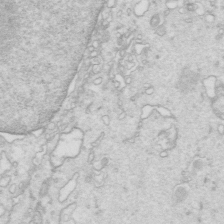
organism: Mouse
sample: Multiciliated cells